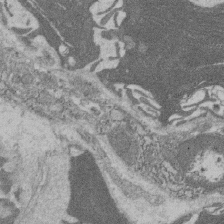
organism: Rat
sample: Salivary granule